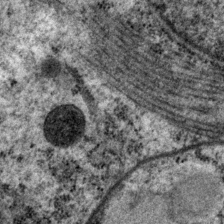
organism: P. pacificus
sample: Pharynx